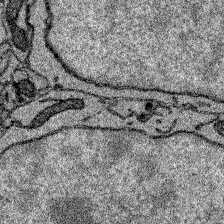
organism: Zebrafish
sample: Larval olfactory bulb